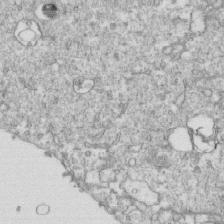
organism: Mouse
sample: Activated OT-1 CD8+ T cells